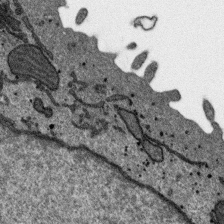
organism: Human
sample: Lung epithelial cells, uninfected (mock) control